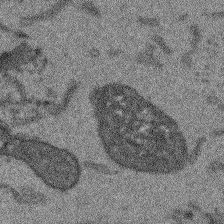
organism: Arabidopsis thaliana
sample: Root tip